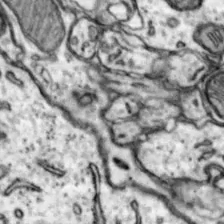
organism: Mouse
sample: Nucleus accumbens